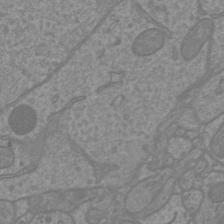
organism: Mouse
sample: Cortical neurons